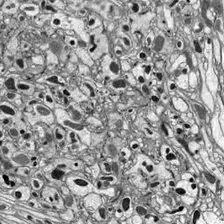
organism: Drosophila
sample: Optic lobe